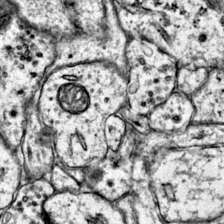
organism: Mouse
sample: Primary visual cortex